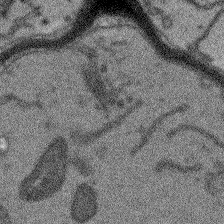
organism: Arabidopsis thaliana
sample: Root tip